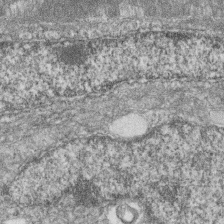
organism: Zebrafish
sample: Cilia; retinal pigment epithelium